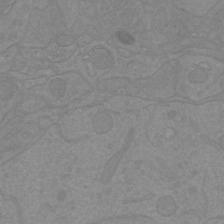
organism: Mouse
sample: Cortical neurons